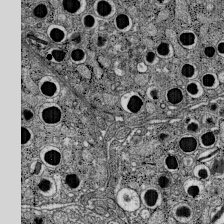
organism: C57BL Mouse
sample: Pancreatic islet